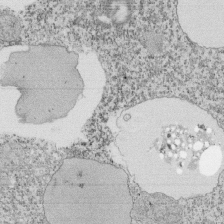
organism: Tetrahymena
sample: Cilia in tetrahymena